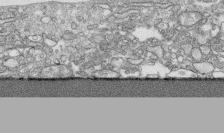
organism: Human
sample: CRL-1474